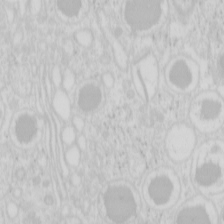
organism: Mouse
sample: Pancreas